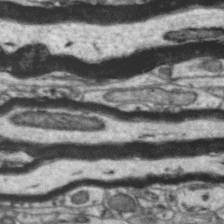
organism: Zebra finch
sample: Brain